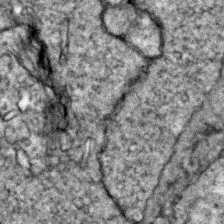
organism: Zebrafish